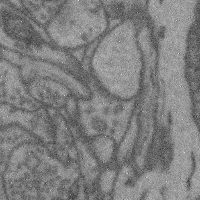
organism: Mouse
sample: Cerebral cortex